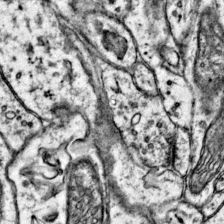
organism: Mouse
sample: Primary visual cortex